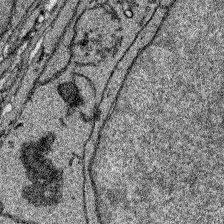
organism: Zebrafish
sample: Larval olfactory bulb